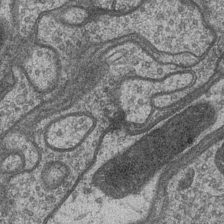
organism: Drosophila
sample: Optic medulla